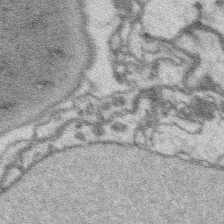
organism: Platynereis dumerilii